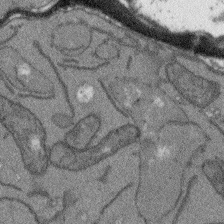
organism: Arabidopsis thaliana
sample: Root tip